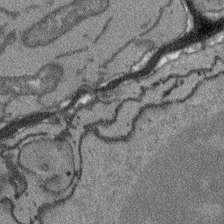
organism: Arabidopsis thaliana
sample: Root tip